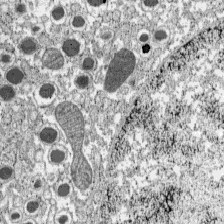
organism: C57BL Mouse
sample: Pancreatic islet